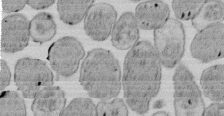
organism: E. coli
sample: Bacterial nucleoid